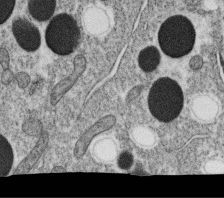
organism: C. elegans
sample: C. elegans oocyte; sperm cells